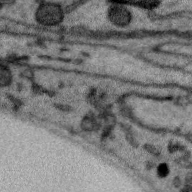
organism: Zebra finch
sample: Brain